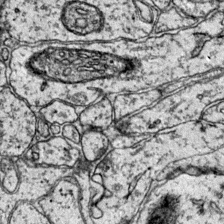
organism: Mouse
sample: Primary visual cortex